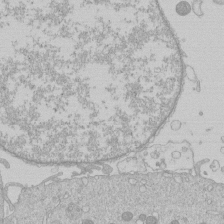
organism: Human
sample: Macrophage cells